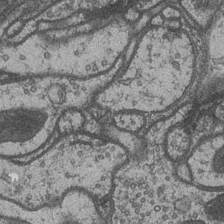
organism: Drosophila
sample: Optic medulla